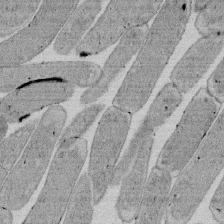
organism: E. coli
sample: Bacterial nucleoid